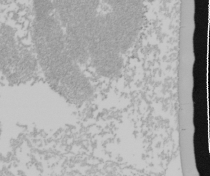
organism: Mouse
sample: Cancer cell death in ED-1 cells